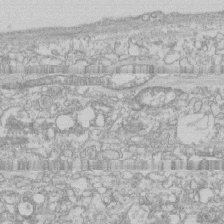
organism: Human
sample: CRL-1474